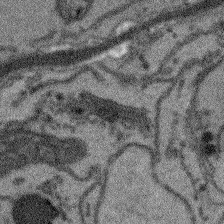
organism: Arabidopsis thaliana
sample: Root tip